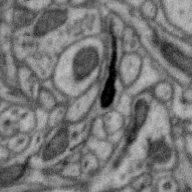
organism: Zebra finch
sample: Brain